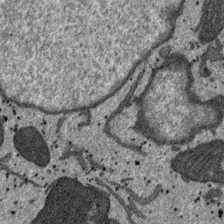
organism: Human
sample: Lung epithelial cells, uninfected (mock) control